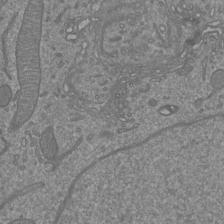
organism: Mouse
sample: Cortical neurons